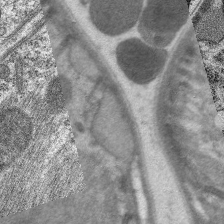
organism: C. elegans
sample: Pharynx